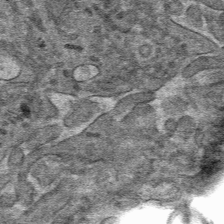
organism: Mouse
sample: Mouse hepatocytes